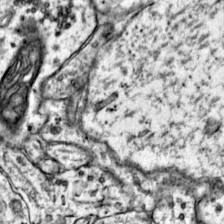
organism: Mouse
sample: Primary visual cortex